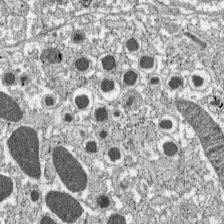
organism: C57BL Mouse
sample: Pancreatic islet